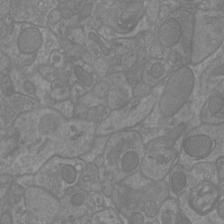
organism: Mouse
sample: Cortical neurons